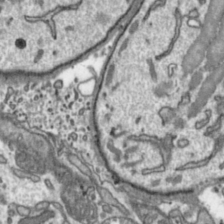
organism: Toxoplasma gondii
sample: Parasites in a vacuole inside a host cell